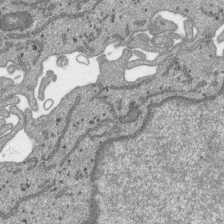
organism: Human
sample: Lung epithelial cells infected with SARS-CoV-2